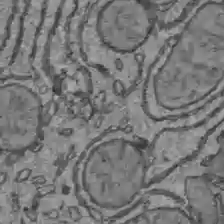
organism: C57BL Mouse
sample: Liver